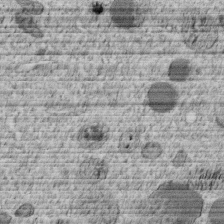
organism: C. elegans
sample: C. elegans embryo early stage